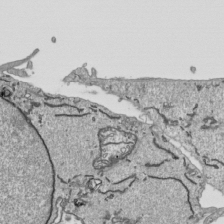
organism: Human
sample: Mitochondria in HCT116 cells